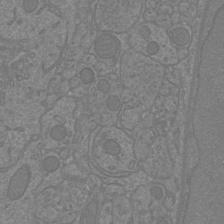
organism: Mouse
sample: Cortical neurons